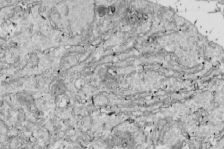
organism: Drosophila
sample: Cell division; meiosis; drosophila spermatocytes